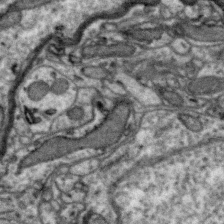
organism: Zebra finch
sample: Brain